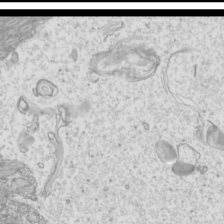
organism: Mouse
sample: Cilia; mouse epididymis